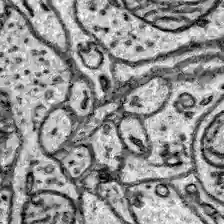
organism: Zebrafish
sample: Brain